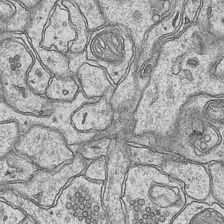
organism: Mouse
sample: CA1 Hippocampus